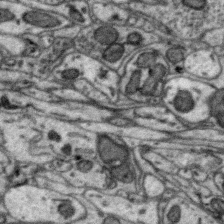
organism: Zebra finch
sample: Brain